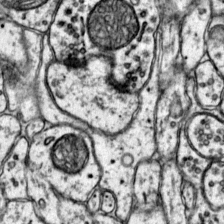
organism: Mouse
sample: Primary visual cortex